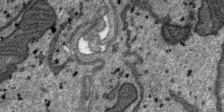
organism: Human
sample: Lung epithelial cells, uninfected (mock) control